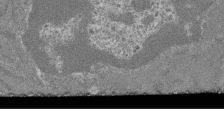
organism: Mouse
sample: Glomerulus